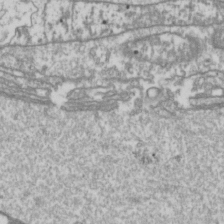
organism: Drosophila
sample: Cell division; meiosis; drosophila spermatocytes